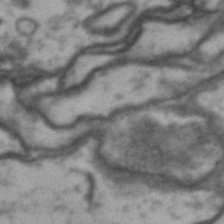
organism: Drosophila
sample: Brain